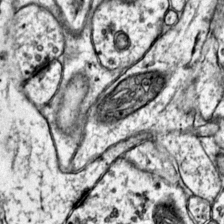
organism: Mouse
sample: Primary visual cortex